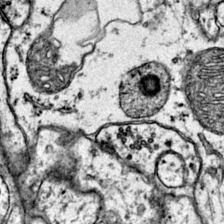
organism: Mouse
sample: Primary visual cortex